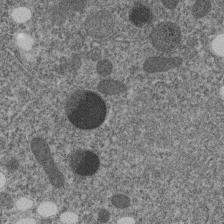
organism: C. elegans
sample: C. elegans embryo early stage